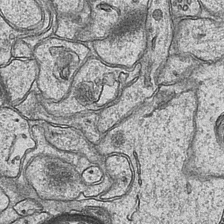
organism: Mouse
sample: CA1 Hippocampus